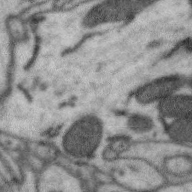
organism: Zebra finch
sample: Brain